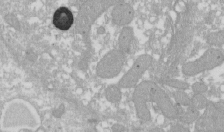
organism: Xenopus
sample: Cilia; centrioles in frog embryo cells